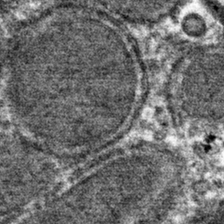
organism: Mouse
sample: Mouse hepatocytes